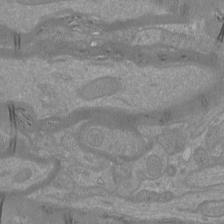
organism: Mouse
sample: Cortical neurons